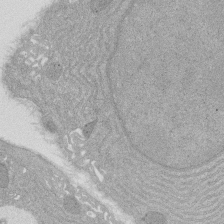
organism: Rat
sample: Salivary granule